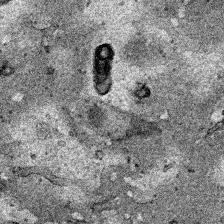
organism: Human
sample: Mitochondria in HCT116 cells